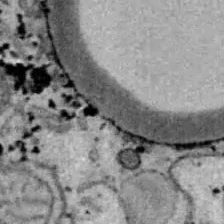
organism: Mouse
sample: Liver from an obese (ob/ob) mouse